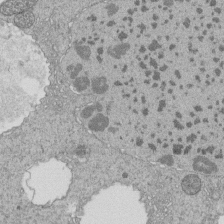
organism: Tetrahymena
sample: Cilia in tetrahymena